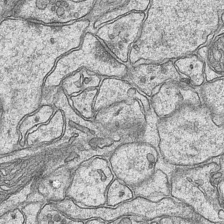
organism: Mouse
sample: CA1 Hippocampus